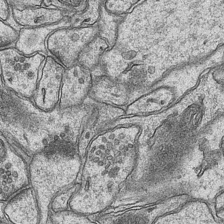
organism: Mouse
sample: CA1 Hippocampus